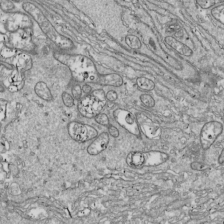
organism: Drosophila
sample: Cell division; meiosis; drosophila spermatocytes